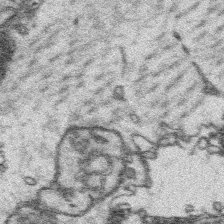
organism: Platynereis dumerilii